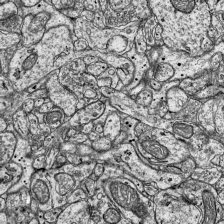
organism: Mouse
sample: Visual Cortex